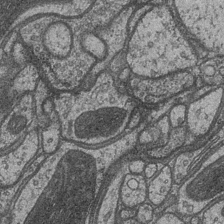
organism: Drosophila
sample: Optic medulla